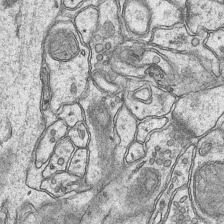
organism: Mouse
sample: CA1 Hippocampus